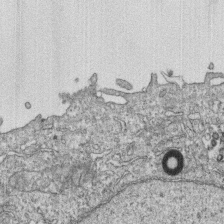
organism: Human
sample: HeLa cell HIV synapse